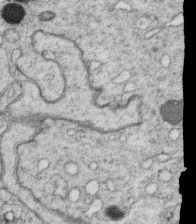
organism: C. elegans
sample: C. elegans oocyte; sperm cells